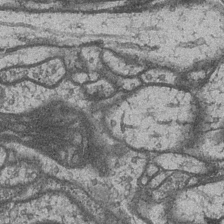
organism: Drosophila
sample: Optic medulla